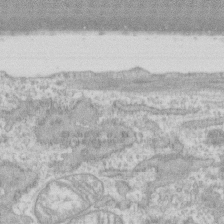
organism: Human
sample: CRL-1474